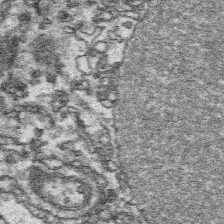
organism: Platynereis dumerilii